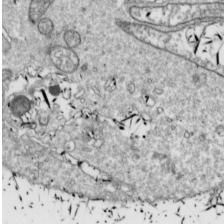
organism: Drosophila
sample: Cell division; meiosis; drosophila spermatocytes